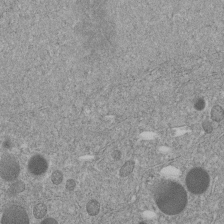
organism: C. elegans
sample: C. elegans embryo early stage